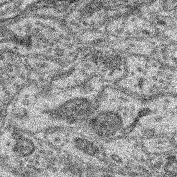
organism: Mouse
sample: Retina